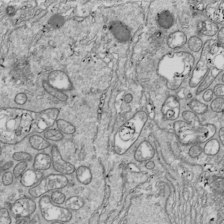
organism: Drosophila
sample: Cell division; meiosis; drosophila spermatocytes